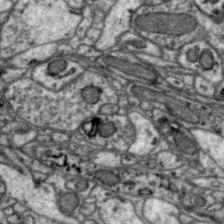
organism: Zebra finch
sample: Brain